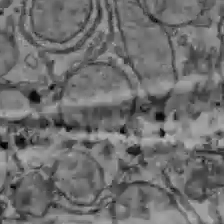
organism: C57BL Mouse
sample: Liver